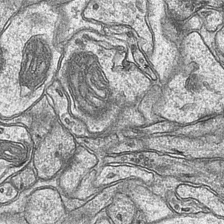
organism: Mouse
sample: CA1 Hippocampus